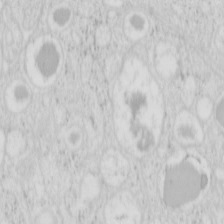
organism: Mouse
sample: Pancreas